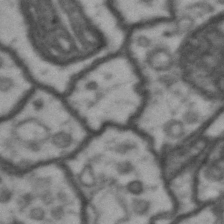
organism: Drosophila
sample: Brain